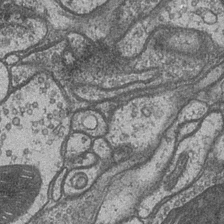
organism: Drosophila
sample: Optic medulla